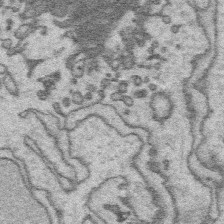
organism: Platynereis dumerilii